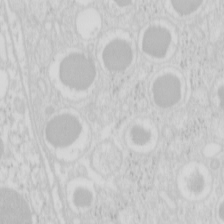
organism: Mouse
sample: Pancreas